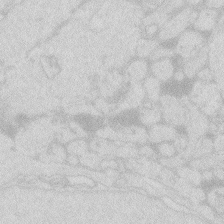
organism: Zebrafish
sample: Macrophage